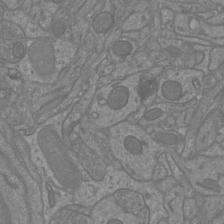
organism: Mouse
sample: Cortical neurons